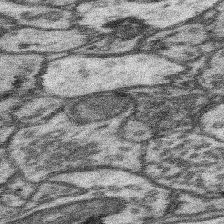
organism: Mouse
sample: Somatosensory cortex neuropil